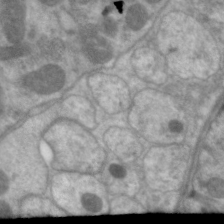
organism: C. elegans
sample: Pharynx